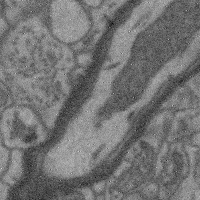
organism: Mouse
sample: Cerebral cortex